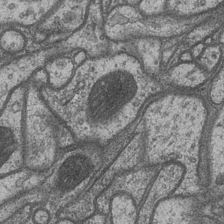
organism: Drosophila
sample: Optic medulla